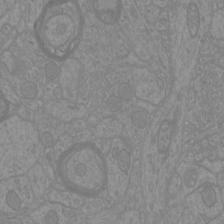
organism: Mouse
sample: Cortical neurons